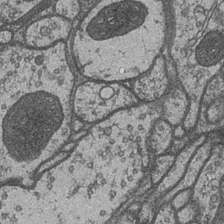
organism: Drosophila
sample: Optic medulla